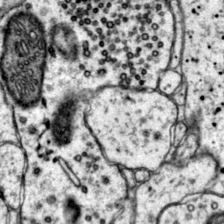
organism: Mouse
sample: Primary visual cortex